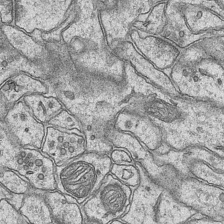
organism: Mouse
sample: CA1 Hippocampus